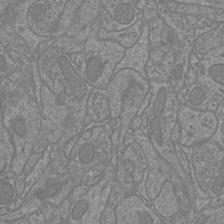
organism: Mouse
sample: Cortical neurons